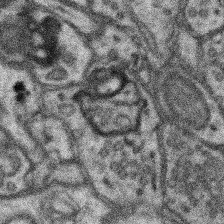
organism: Mouse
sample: Somatosensory cortex neuropil